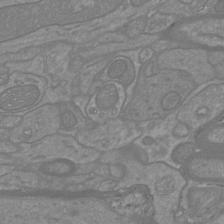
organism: Mouse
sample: Cortical neurons